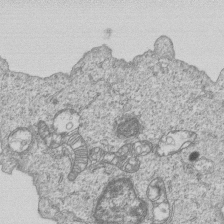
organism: Human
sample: MDA-MB-231 cells